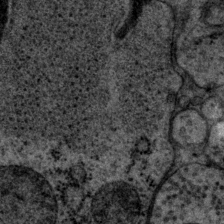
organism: P. pacificus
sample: Pharynx